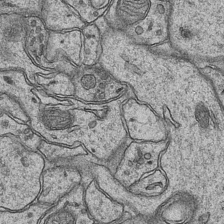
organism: Mouse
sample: CA1 Hippocampus